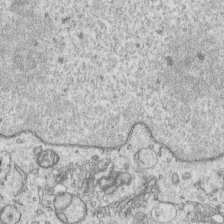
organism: Human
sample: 1205lu cells